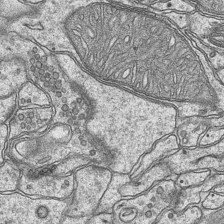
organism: Mouse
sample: CA1 Hippocampus